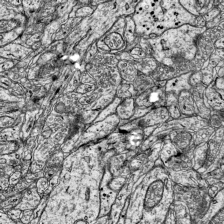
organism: Mouse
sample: Visual Cortex